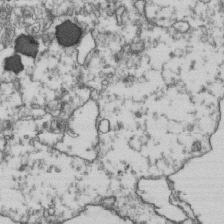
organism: Human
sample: Activated Jurkat CD4+ T cells